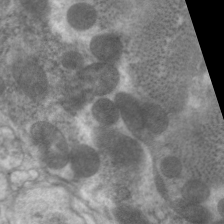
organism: C. elegans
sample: Pharynx